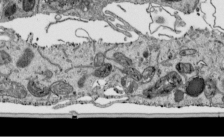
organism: Human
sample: Mitochondria in HCT116 cells